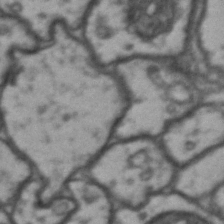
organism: Drosophila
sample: Brain